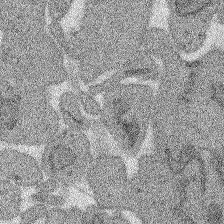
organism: Human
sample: HeLa cells